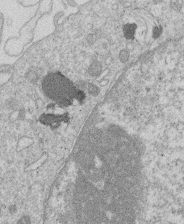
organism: Human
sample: Macrophage cells